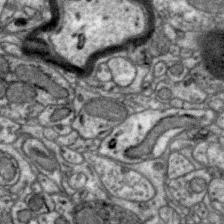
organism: Zebra finch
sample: Brain